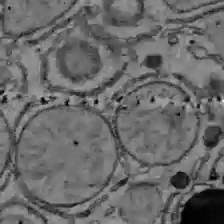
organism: C57BL Mouse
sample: Liver